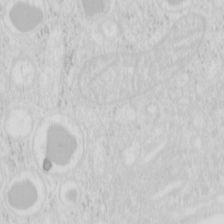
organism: Mouse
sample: Pancreas